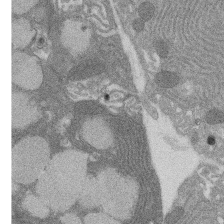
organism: Rat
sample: Salivary granule